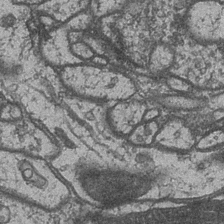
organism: Drosophila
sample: Optic medulla